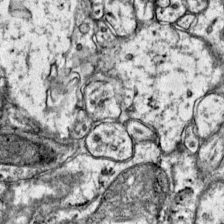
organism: Mouse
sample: Primary visual cortex